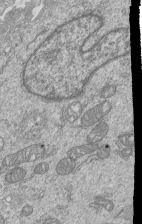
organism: Human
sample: MDA-MB-231 cells